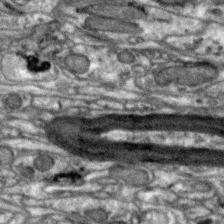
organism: Zebra finch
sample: Brain